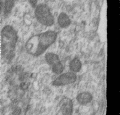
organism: Human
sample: Centriole in RPE cells